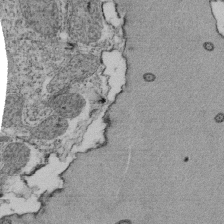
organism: Tetrahymena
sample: Cilia in tetrahymena